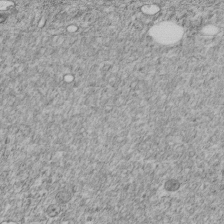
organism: C. elegans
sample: C. elegans embryo early stage